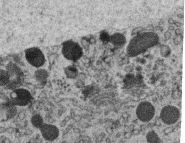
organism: C. elegans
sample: C. elegans oocyte; sperm cells